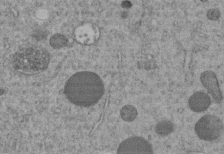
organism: C. elegans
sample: C. elegans embryo early stage